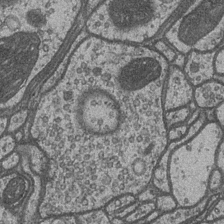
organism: Drosophila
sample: Optic medulla